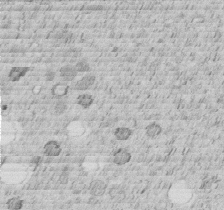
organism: C. elegans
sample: C. elegans embryo early stage